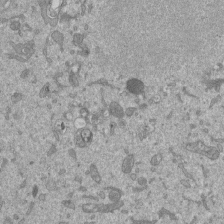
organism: Mouse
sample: ED-1 cell nuclei; centrioles